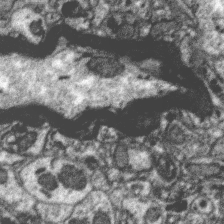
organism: Zebra finch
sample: Brain